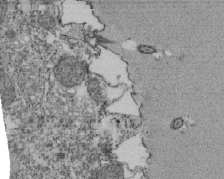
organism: Tetrahymena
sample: Cilia in tetrahymena